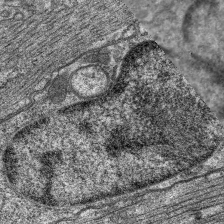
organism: C. elegans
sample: Pharynx